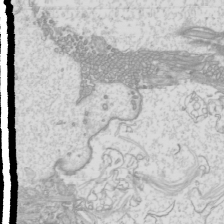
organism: Mouse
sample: Cilia; mouse epididymis